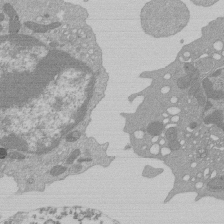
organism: Mouse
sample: Activated Pmel transgenic CD8+ T Cells